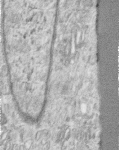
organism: Human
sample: Centriole in RPE cells